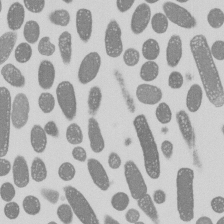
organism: E. coli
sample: Bacterial nucleoid